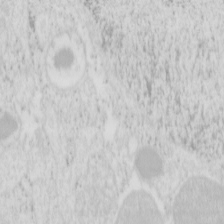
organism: Mouse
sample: Pancreas